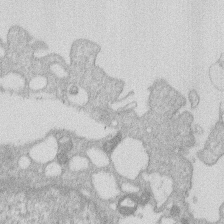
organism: Human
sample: Macrophage cells